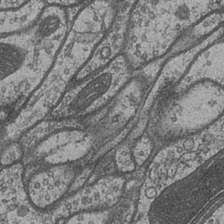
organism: Drosophila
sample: Optic medulla